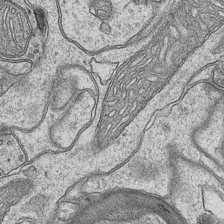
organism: Mouse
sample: CA1 Hippocampus